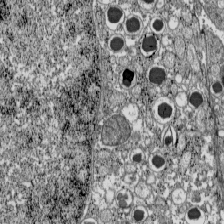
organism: C57BL Mouse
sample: Pancreatic islet